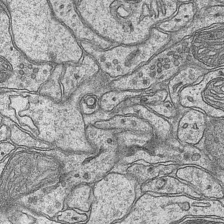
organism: Mouse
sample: CA1 Hippocampus